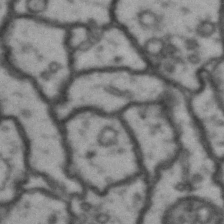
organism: Drosophila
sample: Brain